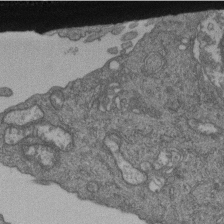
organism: Human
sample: Retinal organoid Rod and Cone cells